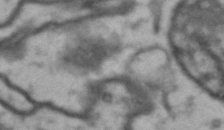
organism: Drosophila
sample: Brain